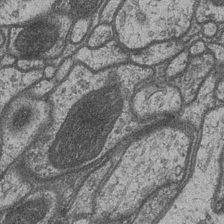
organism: Drosophila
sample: Optic medulla